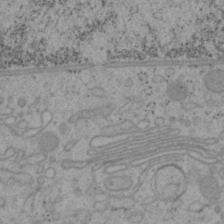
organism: Human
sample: HeLa cells